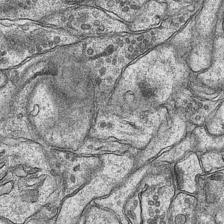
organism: Mouse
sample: CA1 Hippocampus